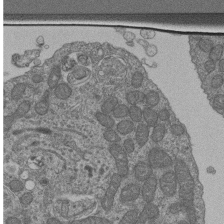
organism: Human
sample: Retinal organoid Rod and Cone cells